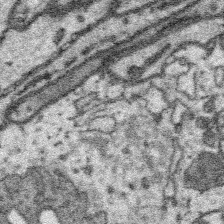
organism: Platynereis dumerilii